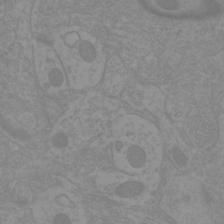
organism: Mouse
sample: Cortical neurons